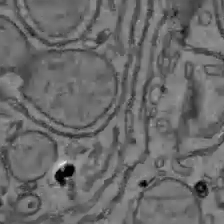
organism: C57BL Mouse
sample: Liver